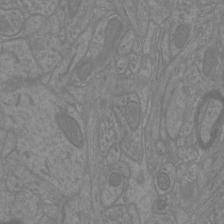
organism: Mouse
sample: Cortical neurons